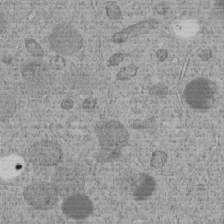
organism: C. elegans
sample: C. elegans embryo early stage